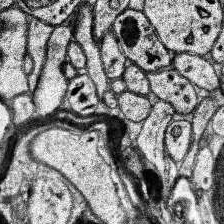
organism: Human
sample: Temporal Lobe